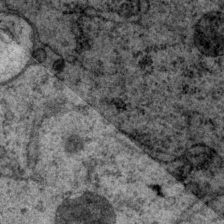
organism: P. pacificus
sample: Pharynx